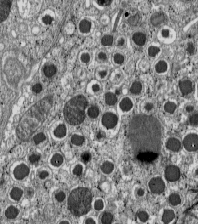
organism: C57BL Mouse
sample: Pancreatic islet